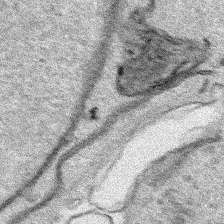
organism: Human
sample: Mitochondria in HCT116 cells